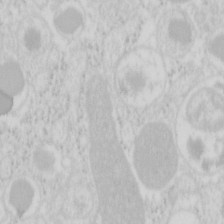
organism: Mouse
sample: Pancreas